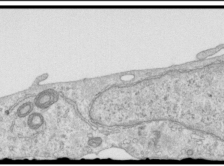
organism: Human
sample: Centriole in RPE cells